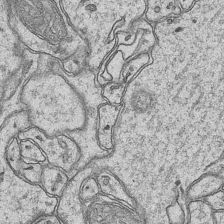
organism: Mouse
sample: CA1 Hippocampus